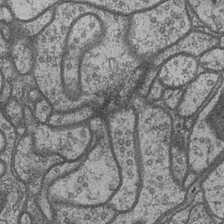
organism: Drosophila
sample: Optic medulla